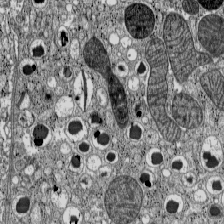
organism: C57BL Mouse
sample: Pancreatic islet